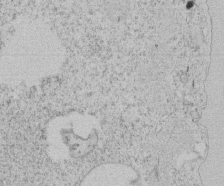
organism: Tetrahymena